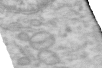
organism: Human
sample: Centriole in RPE cells